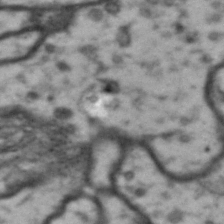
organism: Drosophila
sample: Brain